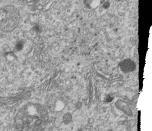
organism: Human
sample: MDA-MB-231 cells